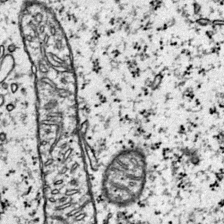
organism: Mouse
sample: Primary visual cortex